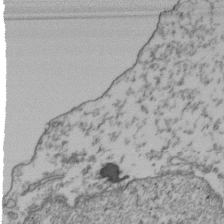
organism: Human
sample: Activated Jurkat CD4+ T cells